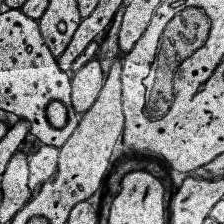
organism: Human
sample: Temporal Lobe